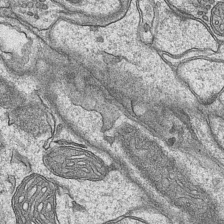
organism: Mouse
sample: CA1 Hippocampus